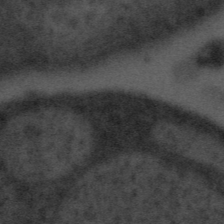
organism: Tuwongella immobilis